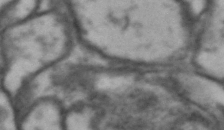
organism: Drosophila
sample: Brain